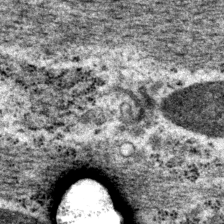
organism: P. pacificus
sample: Pharynx